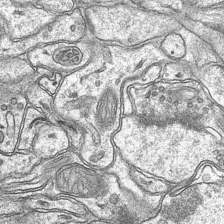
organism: Mouse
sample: CA1 Hippocampus